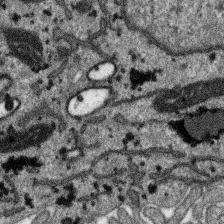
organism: Human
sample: Lung epithelial cells infected with SARS-CoV-2